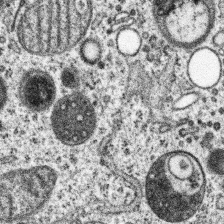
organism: Human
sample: HeLa cells